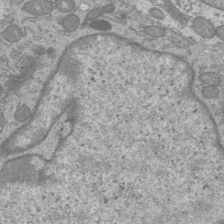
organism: Mouse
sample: Cilia; mouse epididymis